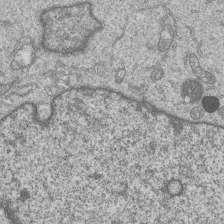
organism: Human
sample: MDA-MB-231 cells